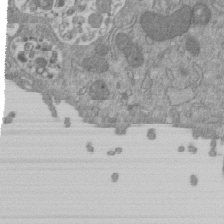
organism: Mouse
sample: ED-1 cell nuclei; centrioles